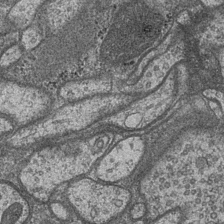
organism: Drosophila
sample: Optic medulla